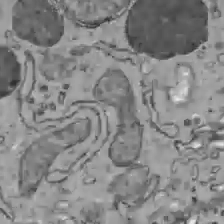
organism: C57BL Mouse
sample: Liver